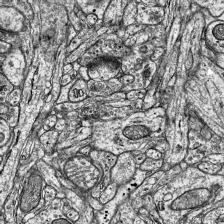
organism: Mouse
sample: Visual Cortex